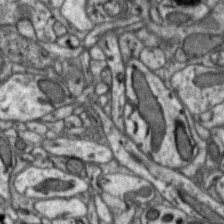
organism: Zebra finch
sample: Brain